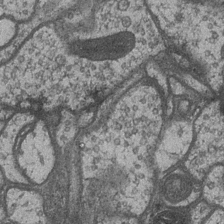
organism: Drosophila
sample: Optic medulla